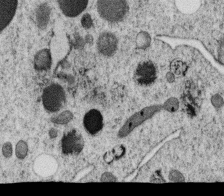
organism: C. elegans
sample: C. elegans oocyte; sperm cells